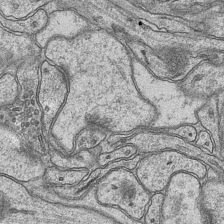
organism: Mouse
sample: CA1 Hippocampus